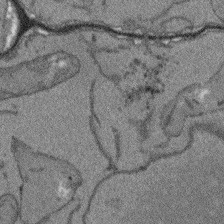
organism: Arabidopsis thaliana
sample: Root tip